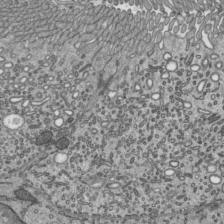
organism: Mouse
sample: Mouse epididymis efferent ductule cilia